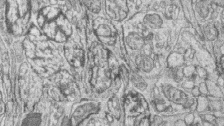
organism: Zebrafish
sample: synaptic ribbons in rod cells and cone cells